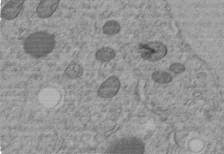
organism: C. elegans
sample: C. elegans embryo early stage